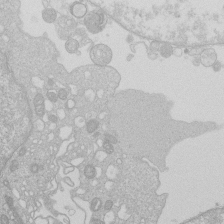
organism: Human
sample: Macrophage cells